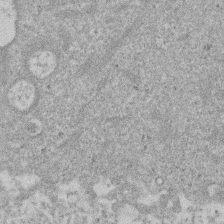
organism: Mouse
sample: Dividing mouse embryo 1 cell stage